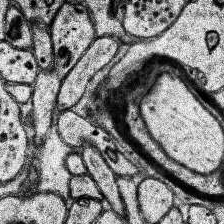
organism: Human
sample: Temporal Lobe